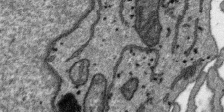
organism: Human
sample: Lung epithelial cells, uninfected (mock) control